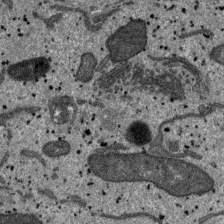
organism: Human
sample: Lung epithelial cells, uninfected (mock) control